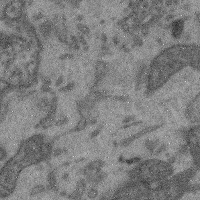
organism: Mouse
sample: Cerebral cortex